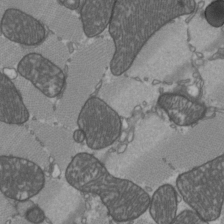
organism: C57BL Mouse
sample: Heart